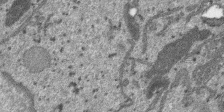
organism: Human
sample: Lung epithelial cells infected with SARS-CoV-2